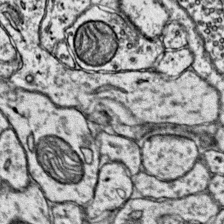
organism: Mouse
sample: Primary visual cortex